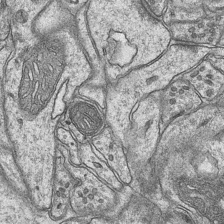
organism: Mouse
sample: CA1 Hippocampus